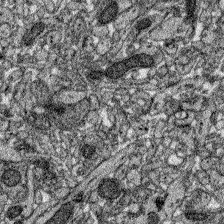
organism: Zebrafish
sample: Larval olfactory bulb